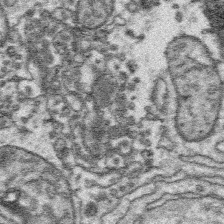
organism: Platynereis dumerilii